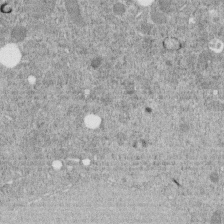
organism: C. elegans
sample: C. elegans embryo early stage